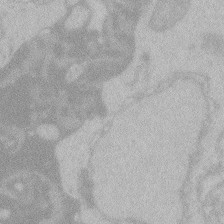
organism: Zebrafish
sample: Macrophage infected with Toxoplasma gondii